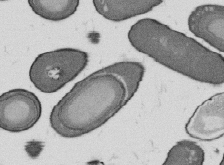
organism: B. subtilis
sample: Bacterial spore